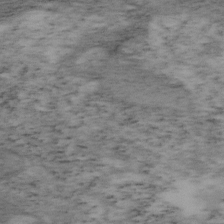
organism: Mouse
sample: OT-I killer T cells with ID8 ovarian cancer cells